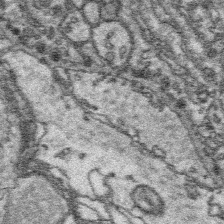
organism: Platynereis dumerilii